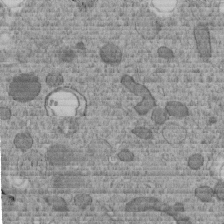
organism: C. elegans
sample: C. elegans embryo early stage